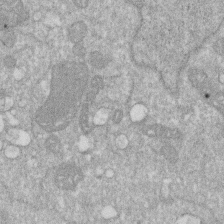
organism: Human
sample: HIV infected U937 cells